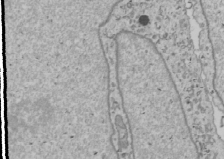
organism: Human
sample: Mitochondria in U2OS cells